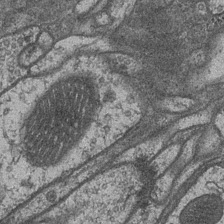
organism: Drosophila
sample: Optic medulla